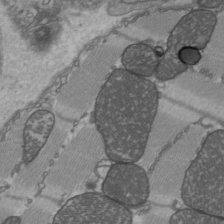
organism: C57BL Mouse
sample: Heart